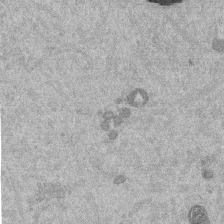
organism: Mouse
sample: Dividing mouse embryo 1 cell stage